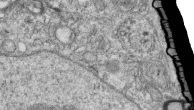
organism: Human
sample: HeLa cell HIV synapse